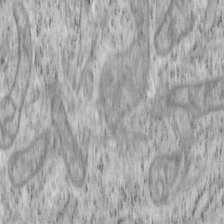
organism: Human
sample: HeLa cells